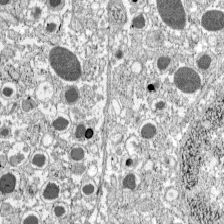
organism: C57BL Mouse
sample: Pancreatic islet